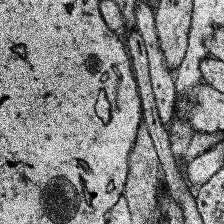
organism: Human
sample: Temporal Lobe